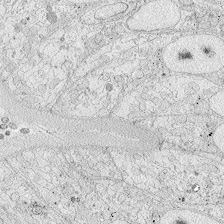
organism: Zebrafish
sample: Whole-Brain